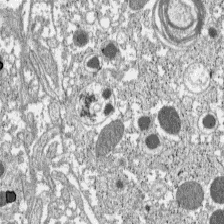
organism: C57BL Mouse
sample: Pancreatic islet